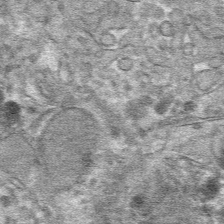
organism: Mouse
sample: Mouse hepatocytes